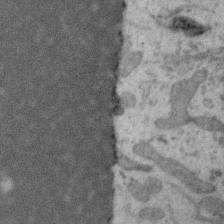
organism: Zebra finch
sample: Brain